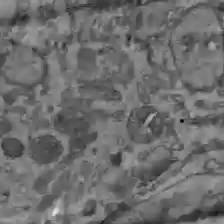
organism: C57BL Mouse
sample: Liver